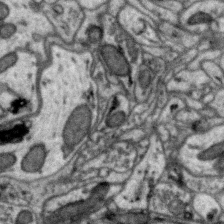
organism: Zebra finch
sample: Brain